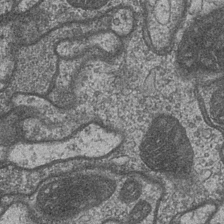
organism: Drosophila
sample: Optic medulla